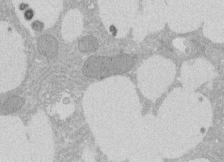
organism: Rat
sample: Salivary granule